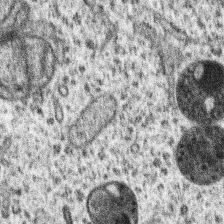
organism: Human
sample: HeLa cells